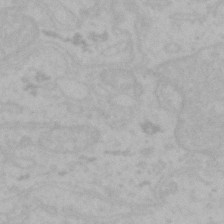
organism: Mouse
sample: Choroid plexus